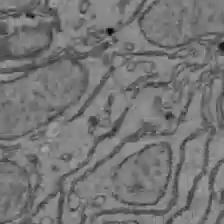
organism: C57BL Mouse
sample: Liver